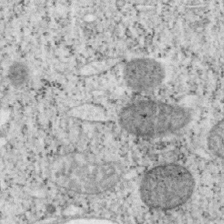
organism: Mouse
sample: OT-I killer T cells with ID8 ovarian cancer cells